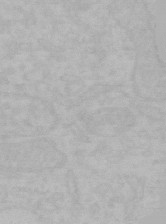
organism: Mouse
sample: Choroid plexus